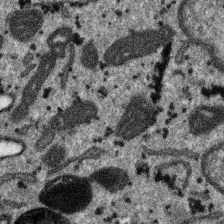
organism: Human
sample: Lung epithelial cells infected with SARS-CoV-2